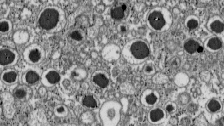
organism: C57BL Mouse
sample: Pancreatic islet